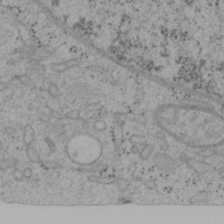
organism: Human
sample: HeLa cells